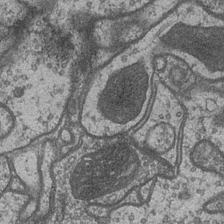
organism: Drosophila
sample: Optic medulla